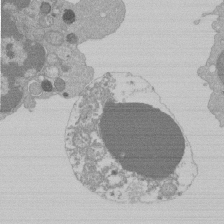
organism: Mouse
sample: Activated Pmel transgenic CD8+ T Cells